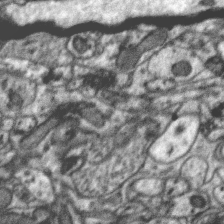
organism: Zebra finch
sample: Brain